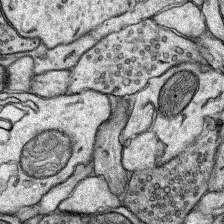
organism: Rat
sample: Hippocampus